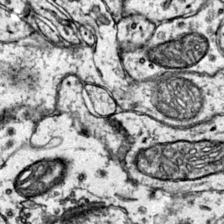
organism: Mouse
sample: Primary visual cortex